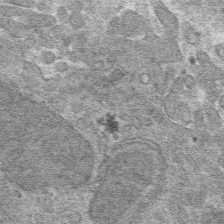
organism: Mouse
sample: Mouse hepatocytes